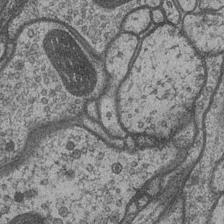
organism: Drosophila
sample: Optic medulla